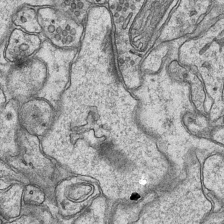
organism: Mouse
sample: CA1 Hippocampus